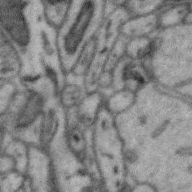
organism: Zebra finch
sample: Brain